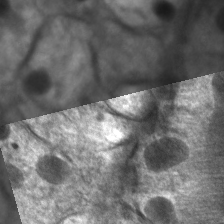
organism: C. elegans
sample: Pharynx